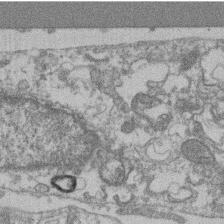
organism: Mouse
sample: T cell stromal cell synapse